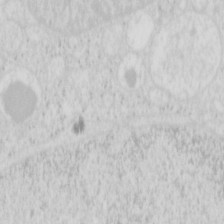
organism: Mouse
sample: Pancreas